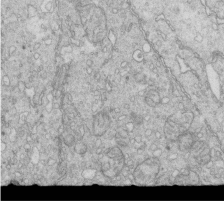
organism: Mouse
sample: Multiciliated cells